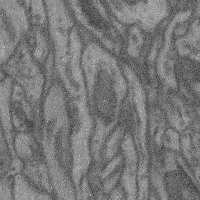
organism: Mouse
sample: Cerebral cortex